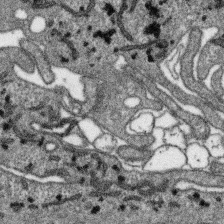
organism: Human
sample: Lung epithelial cells infected with SARS-CoV-2